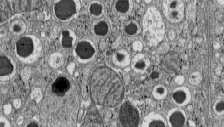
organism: C57BL Mouse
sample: Pancreatic islet